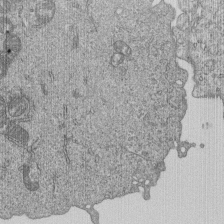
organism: Human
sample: MDA-MB-231 cells